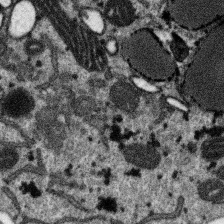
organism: Human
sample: Lung epithelial cells infected with SARS-CoV-2